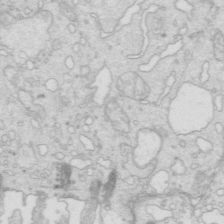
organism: Mouse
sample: Multiciliated cells